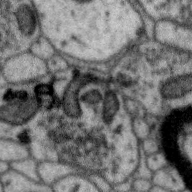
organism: Zebra finch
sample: Brain